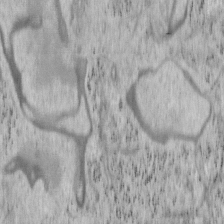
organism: Human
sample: HeLa cells